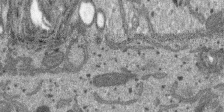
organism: Human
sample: Lung epithelial cells infected with SARS-CoV-2